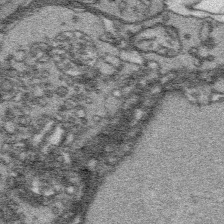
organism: Platynereis dumerilii